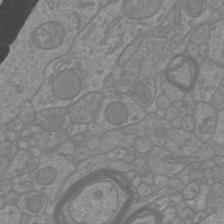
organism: Mouse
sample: Cortical neurons